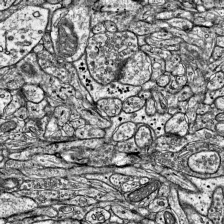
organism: Mouse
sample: Visual Cortex